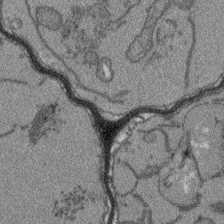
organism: Arabidopsis thaliana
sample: Root tip